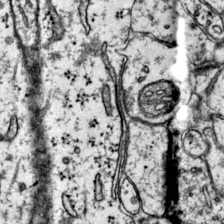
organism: Mouse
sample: Primary visual cortex